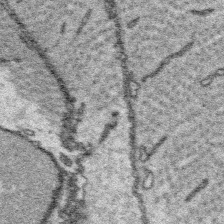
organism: Platynereis dumerilii